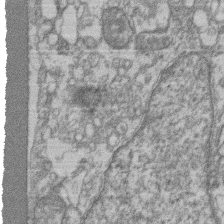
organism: Mouse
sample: T cell stromal cell synapse